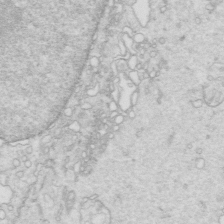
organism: Mouse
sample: Multiciliated cells